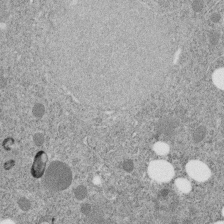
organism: C. elegans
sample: C. elegans embryo early stage